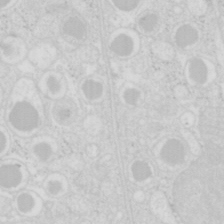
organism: Mouse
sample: Pancreas